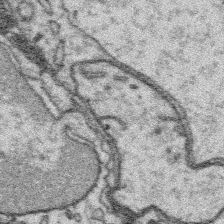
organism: Platynereis dumerilii